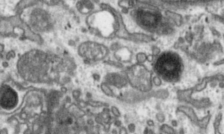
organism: Toxoplasma gondii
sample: Parasites in a vacuole inside a host cell